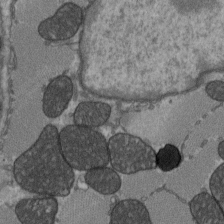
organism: C57BL Mouse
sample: Heart